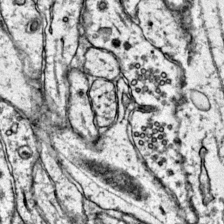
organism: Mouse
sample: Primary visual cortex